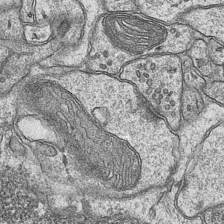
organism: Mouse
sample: CA1 Hippocampus